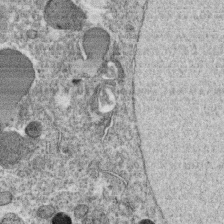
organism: C. elegans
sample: C. elegans oocyte; sperm cells